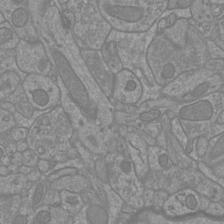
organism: Mouse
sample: Cortical neurons